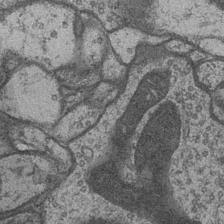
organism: Drosophila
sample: Optic medulla